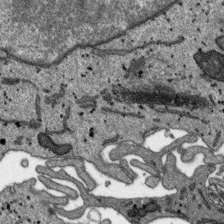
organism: Human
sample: Lung epithelial cells, uninfected (mock) control